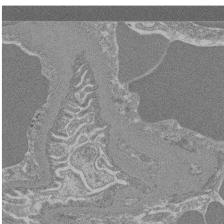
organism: Mouse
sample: Glomerulus